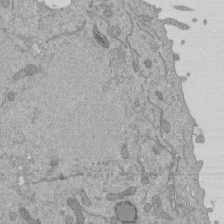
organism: Mouse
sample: ED-1 cell nuclei; centrioles